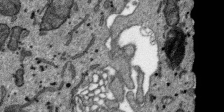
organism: Human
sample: Lung epithelial cells, uninfected (mock) control